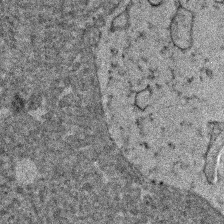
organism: Human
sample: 1205lu cells